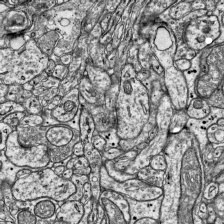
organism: Mouse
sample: Visual Cortex